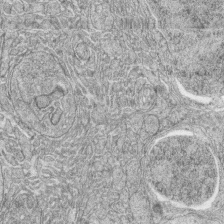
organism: Zebrafish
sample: synaptic ribbons in rod cells and cone cells